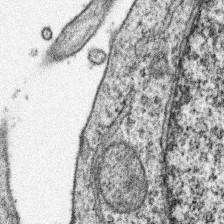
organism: Human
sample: HeLa cells